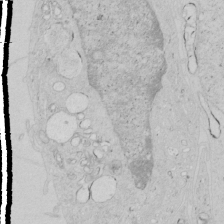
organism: Human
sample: Mitochondria in HCT116 cells